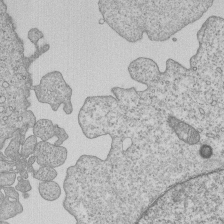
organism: Human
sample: MDA-MB-231 cells